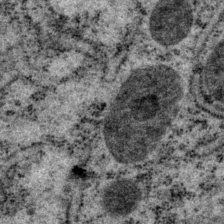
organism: P. pacificus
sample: Pharynx